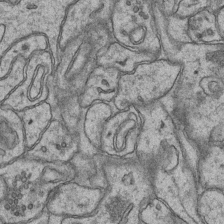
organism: Mouse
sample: CA1 Hippocampus